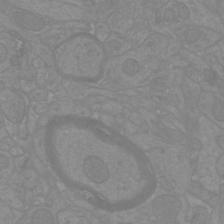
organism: Mouse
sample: Cortical neurons